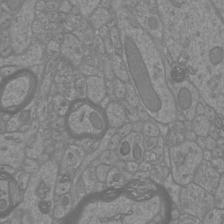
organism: Mouse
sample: Cortical neurons